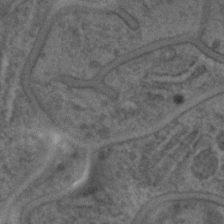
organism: C. elegans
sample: C. elegans embryo